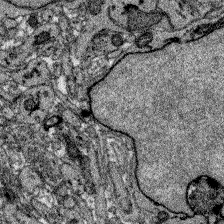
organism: Zebrafish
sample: Larval olfactory bulb